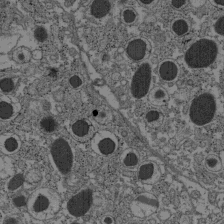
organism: C57BL Mouse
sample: Pancreatic islet